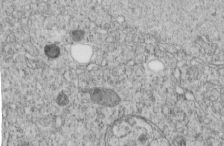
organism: C. elegans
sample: C. elegans embryo early stage